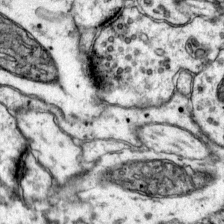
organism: Mouse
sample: Primary visual cortex